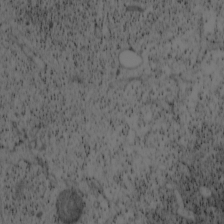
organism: African green monkey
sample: COS-7 cells